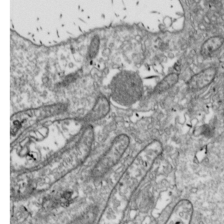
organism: Drosophila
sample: Cell division; meiosis; drosophila spermatocytes